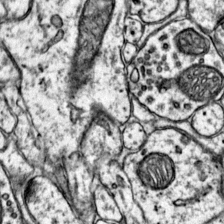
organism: Mouse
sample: Primary visual cortex